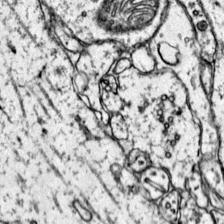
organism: Mouse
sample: Primary visual cortex